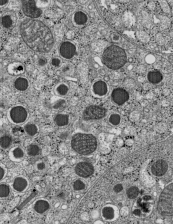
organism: C57BL Mouse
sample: Pancreatic islet